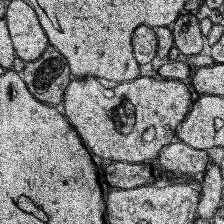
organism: Human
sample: Temporal Lobe